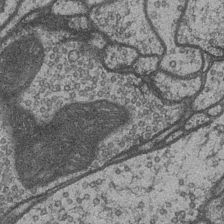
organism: Drosophila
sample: Optic medulla